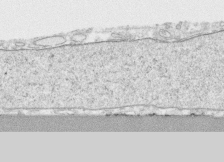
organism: Human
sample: CRL-1474